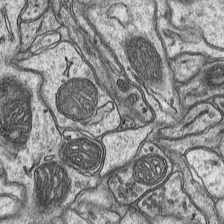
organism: Mouse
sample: CA1 Hippocampus